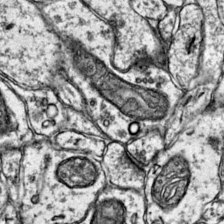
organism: Mouse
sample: Primary visual cortex